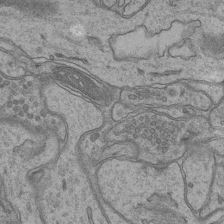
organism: Mouse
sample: CA1 Hippocampus